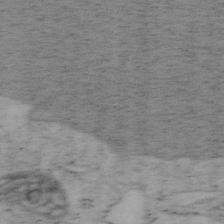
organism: Mouse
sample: OT-I killer T cells with ID8 ovarian cancer cells